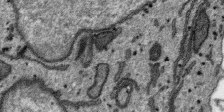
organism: Human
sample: Lung epithelial cells, uninfected (mock) control